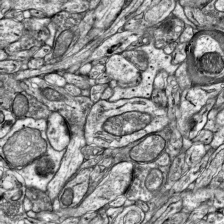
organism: Mouse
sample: Visual Cortex